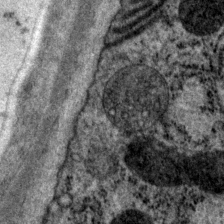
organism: P. pacificus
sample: Pharynx